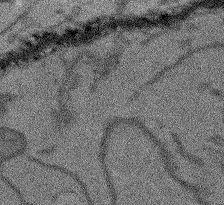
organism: Arabidopsis thaliana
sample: Root tip